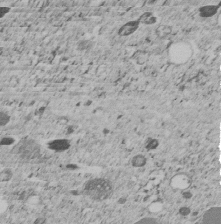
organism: C. elegans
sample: C. elegans embryo early stage